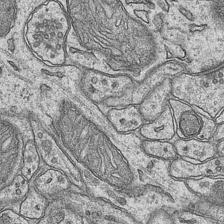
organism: Mouse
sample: CA1 Hippocampus